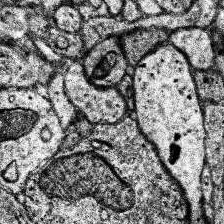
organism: Human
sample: Temporal Lobe